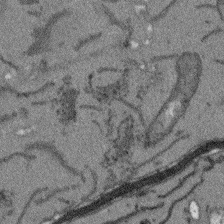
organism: Arabidopsis thaliana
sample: Root tip